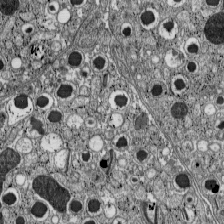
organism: C57BL Mouse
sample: Pancreatic islet